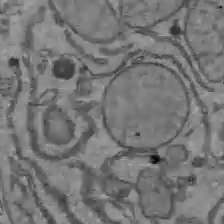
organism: C57BL Mouse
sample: Liver